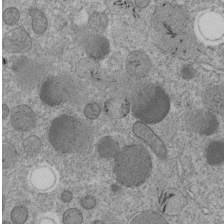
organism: C. elegans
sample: C. elegans embryo early stage